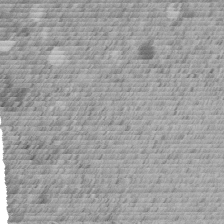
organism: C. elegans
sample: C. elegans embryo early stage